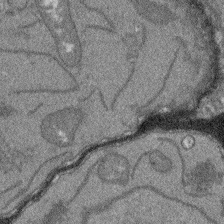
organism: Arabidopsis thaliana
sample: Root tip